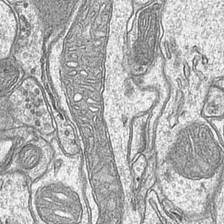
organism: Mouse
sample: CA1 Hippocampus